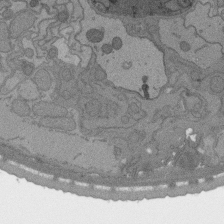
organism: C. elegans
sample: AFD neurons C. elegans